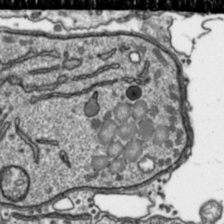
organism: Toxoplasma gondii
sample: Parasites in a vacuole inside a host cell